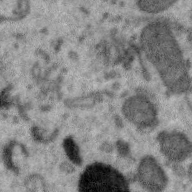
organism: Zebra finch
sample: Brain